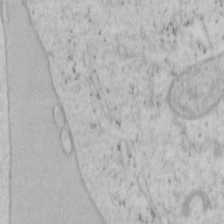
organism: Human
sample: HeLa cells